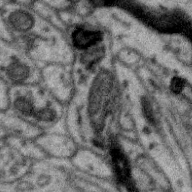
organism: Zebra finch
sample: Brain